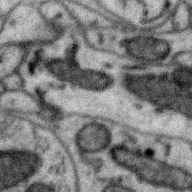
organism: Zebra finch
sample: Brain